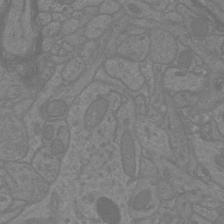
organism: Mouse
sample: Cortical neurons